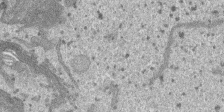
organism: Human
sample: Lung epithelial cells infected with SARS-CoV-2